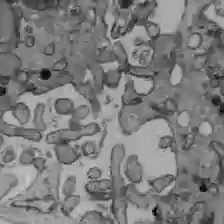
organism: C57BL Mouse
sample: Liver